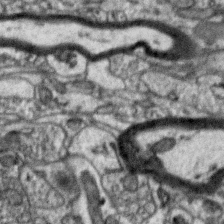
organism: Zebra finch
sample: Brain